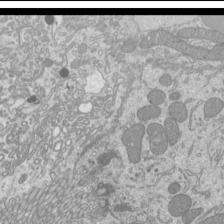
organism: Mouse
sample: Cilia; mouse epididymis